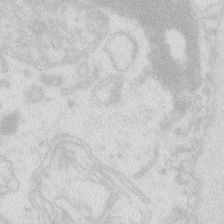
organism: Zebrafish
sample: Macrophage